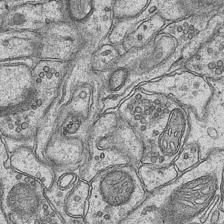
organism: Mouse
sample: CA1 Hippocampus